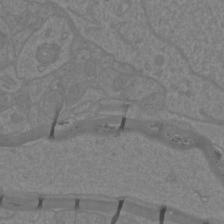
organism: Mouse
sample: Cortical neurons